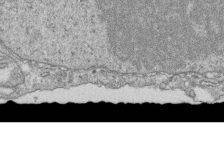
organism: Human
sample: HeLa cell HIV synapse